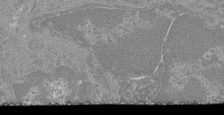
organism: Mouse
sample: Glomerulus